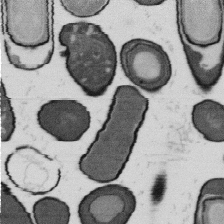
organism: B. subtilis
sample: Bacterial spore